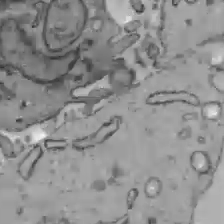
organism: C57BL Mouse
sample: Liver